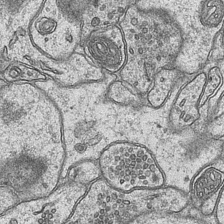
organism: Mouse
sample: CA1 Hippocampus